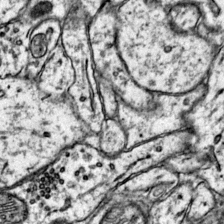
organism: Mouse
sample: Primary visual cortex